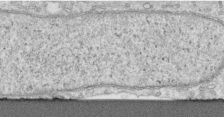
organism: Human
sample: Centriole in RPE cells